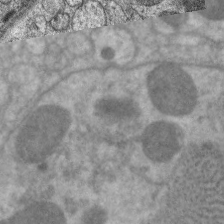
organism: C. elegans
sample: Pharynx